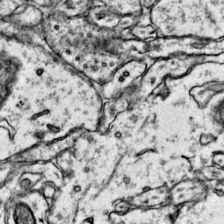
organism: Mouse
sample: Primary visual cortex